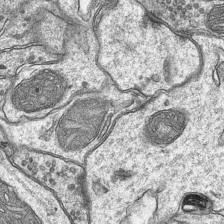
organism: Mouse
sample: CA1 Hippocampus